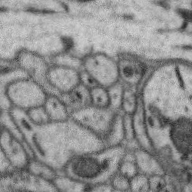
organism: Zebra finch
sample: Brain